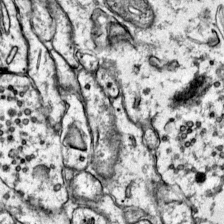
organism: Mouse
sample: Primary visual cortex